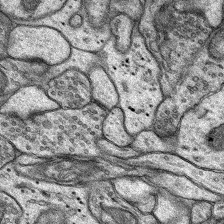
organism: Rat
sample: Hippocampus